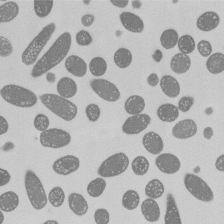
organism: E. coli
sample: Bacterial nucleoid